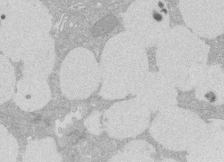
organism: Rat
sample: Salivary granule